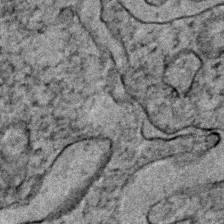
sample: Trachea